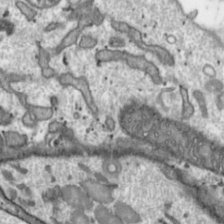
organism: Toxoplasma gondii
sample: Parasites in a vacuole inside a host cell